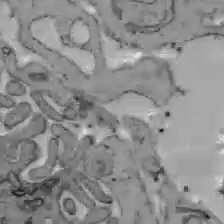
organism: C57BL Mouse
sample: Liver